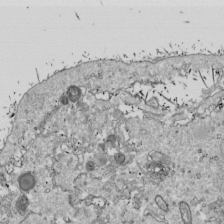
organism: Drosophila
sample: Cell division; meiosis; drosophila spermatocytes